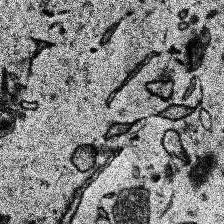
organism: Human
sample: Temporal Lobe